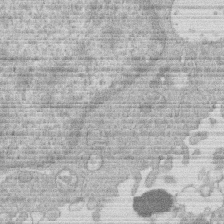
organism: Human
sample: Macrophage cells